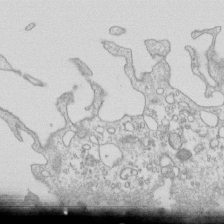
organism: Mouse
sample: Macrophages